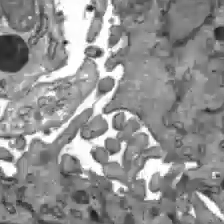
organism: C57BL Mouse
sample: Liver